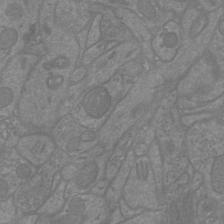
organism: Mouse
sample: Cortical neurons